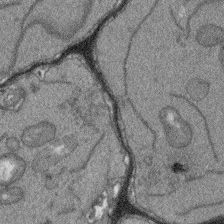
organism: Arabidopsis thaliana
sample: Root tip